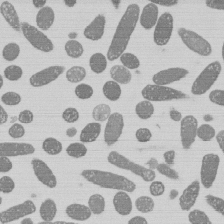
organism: E. coli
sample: Bacterial nucleoid